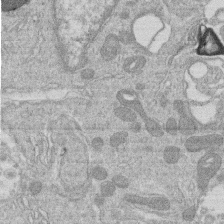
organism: Human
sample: Macrophage cells